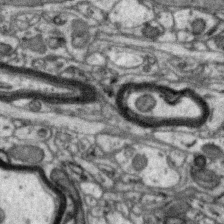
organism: Zebra finch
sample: Brain